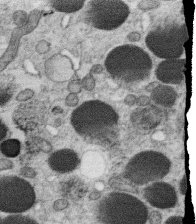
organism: C. elegans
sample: C. elegans oocyte; sperm cells